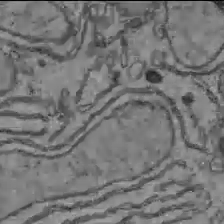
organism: C57BL Mouse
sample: Liver